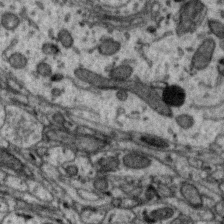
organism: Zebra finch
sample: Brain